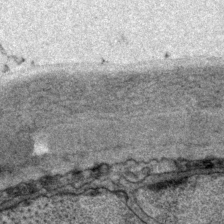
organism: P. pacificus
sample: Pharynx